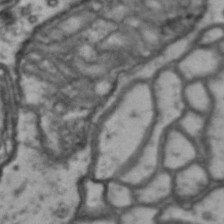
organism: Drosophila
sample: Brain